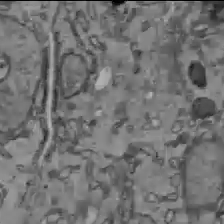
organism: C57BL Mouse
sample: Liver